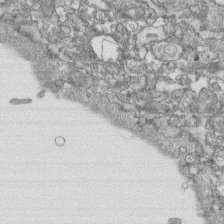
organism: Human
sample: CRL-1474